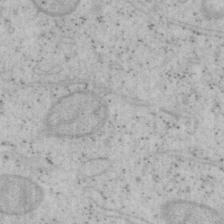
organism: Human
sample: HeLa cells